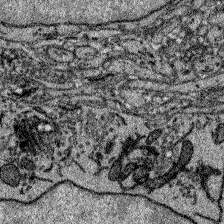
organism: Zebrafish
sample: Larval olfactory bulb